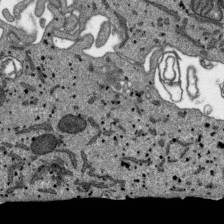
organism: Human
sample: Lung epithelial cells, uninfected (mock) control